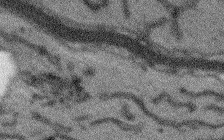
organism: Arabidopsis thaliana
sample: Root tip